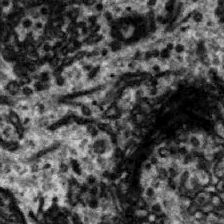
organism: Human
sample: HeLa cells